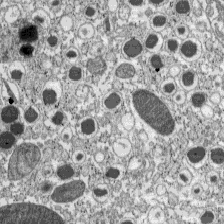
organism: C57BL Mouse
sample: Pancreatic islet